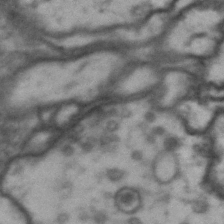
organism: Drosophila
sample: Brain